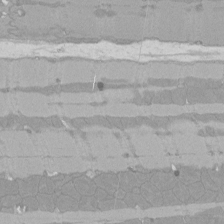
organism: Rat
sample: Left ventricle